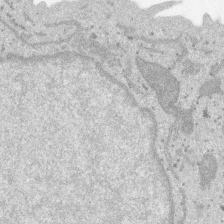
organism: Human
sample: Lung epithelial cells infected with SARS-CoV-2